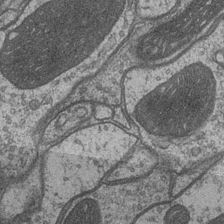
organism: Drosophila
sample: Optic medulla